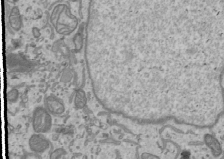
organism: Human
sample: Mitochondria in U2OS cells